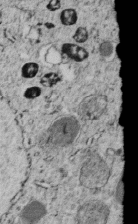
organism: C. elegans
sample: C. elegans embryo early stage